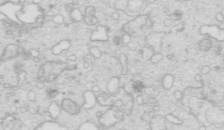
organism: Mouse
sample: Multiciliated cells